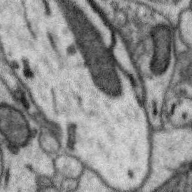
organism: Zebra finch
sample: Brain